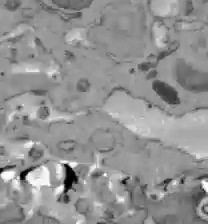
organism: C57BL Mouse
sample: Liver